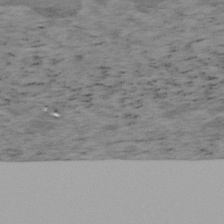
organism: Mouse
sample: OT-I killer T cells with ID8 ovarian cancer cells